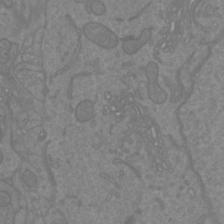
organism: Mouse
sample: Cortical neurons